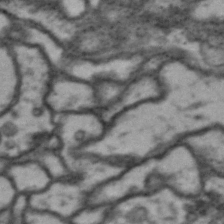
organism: Drosophila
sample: Brain